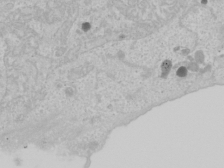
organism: Human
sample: Mitochondria in U2OS cells